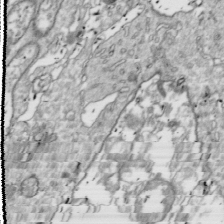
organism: Drosophila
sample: Cell division; meiosis; drosophila spermatocytes